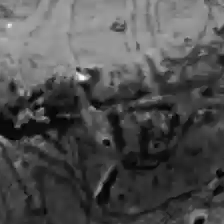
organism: C57BL Mouse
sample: Liver